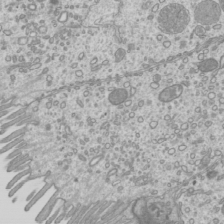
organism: Mouse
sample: Cilia; mouse epididymis